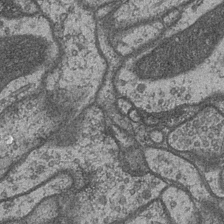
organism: Drosophila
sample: Optic medulla